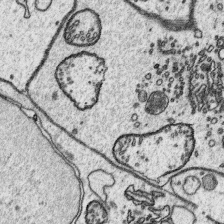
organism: Platynereis dumerilii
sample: Parapodia